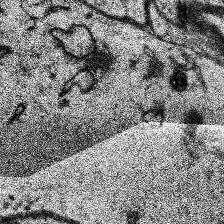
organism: Human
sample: Temporal Lobe